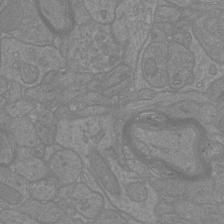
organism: Mouse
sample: Cortical neurons